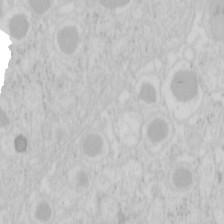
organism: Mouse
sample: Pancreas